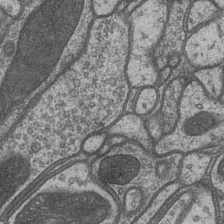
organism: Drosophila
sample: Optic medulla